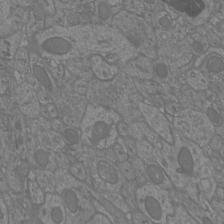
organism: Mouse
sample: Cortical neurons